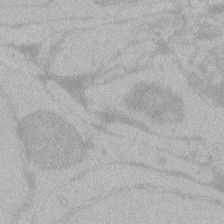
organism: Zebrafish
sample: Macrophage infected with Toxoplasma gondii